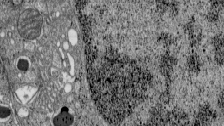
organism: C57BL Mouse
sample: Pancreatic islet